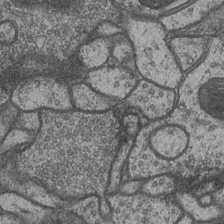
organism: Drosophila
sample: Optic medulla